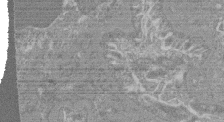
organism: Mouse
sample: Glomerulus